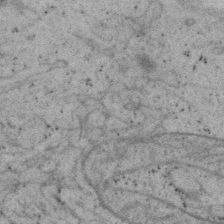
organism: Human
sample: HeLa cells